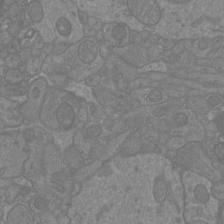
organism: Mouse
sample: Cortical neurons